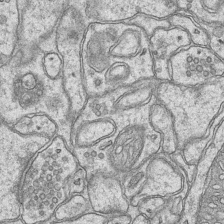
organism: Mouse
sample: CA1 Hippocampus